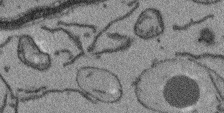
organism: Arabidopsis thaliana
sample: Root tip